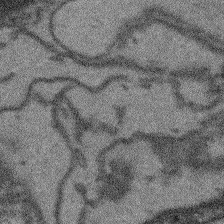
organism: Arabidopsis thaliana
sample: Root tip